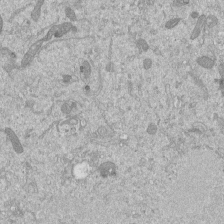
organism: Mouse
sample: ED-1 cell nuclei; centrioles